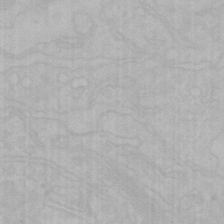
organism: Mouse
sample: Choroid plexus